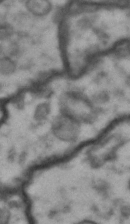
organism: Drosophila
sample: Brain